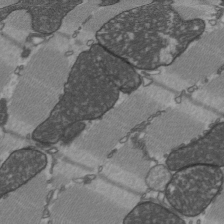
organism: C57BL Mouse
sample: Heart